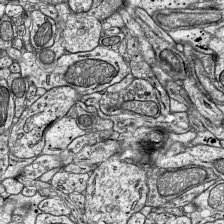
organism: Mouse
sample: Visual Cortex